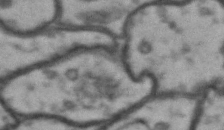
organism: Drosophila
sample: Brain